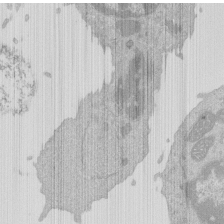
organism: Mouse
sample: Activated Pmel transgenic CD8+ T Cells